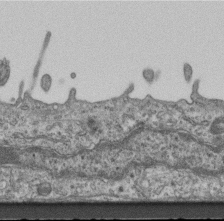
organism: Mouse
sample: Centriole in ependymal cells